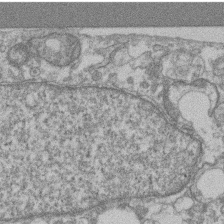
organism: Mouse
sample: T cell stromal cell synapse